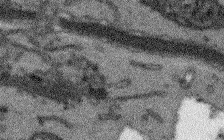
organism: Arabidopsis thaliana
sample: Root tip